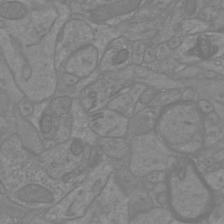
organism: Mouse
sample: Cortical neurons